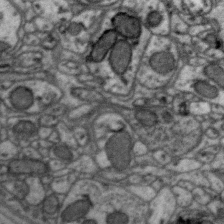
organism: Zebra finch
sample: Brain